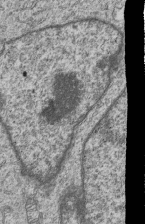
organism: Human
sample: MDA-MB-231 cells